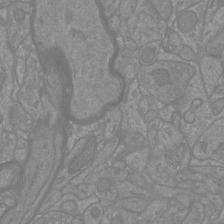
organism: Mouse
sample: Cortical neurons